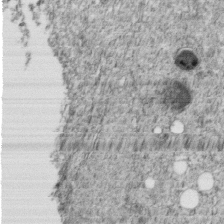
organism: C. elegans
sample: C. elegans embryo early stage